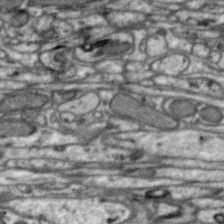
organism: Zebra finch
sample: Brain